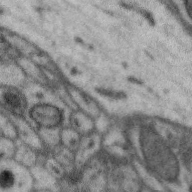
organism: Zebra finch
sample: Brain